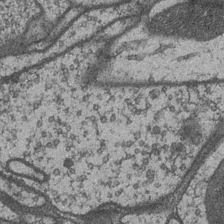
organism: Drosophila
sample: Optic medulla